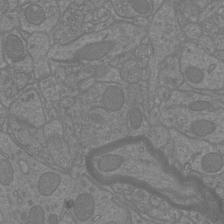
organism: Mouse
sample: Cortical neurons